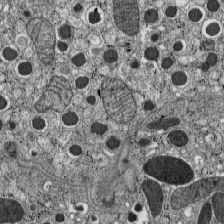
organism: C57BL Mouse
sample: Pancreatic islet